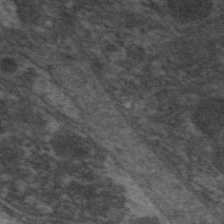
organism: C. elegans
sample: Pharynx